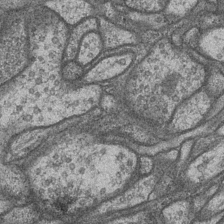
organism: Drosophila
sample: Optic medulla